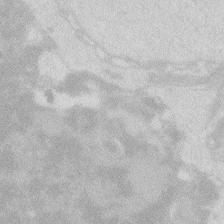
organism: Zebrafish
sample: Macrophage